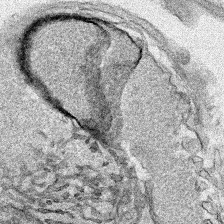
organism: Human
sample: Mitochondria in HCT116 cells